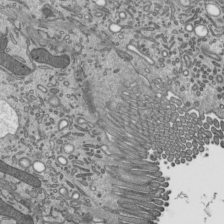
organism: Mouse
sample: Mouse epididymis efferent ductule cilia